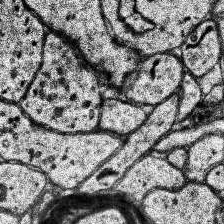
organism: Human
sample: Temporal Lobe